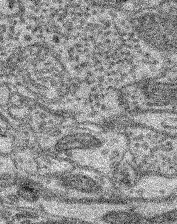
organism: Mouse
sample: Retina